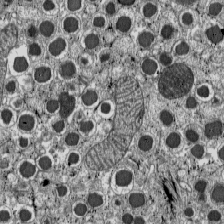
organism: C57BL Mouse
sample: Pancreatic islet